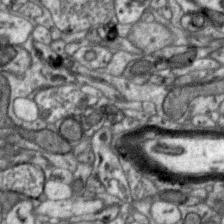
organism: Zebra finch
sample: Brain